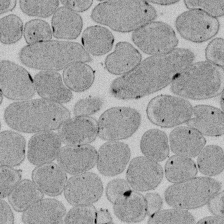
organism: E. coli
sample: Bacterial nucleoid